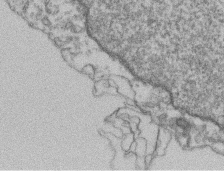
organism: Mouse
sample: T cell stromal cell synapse